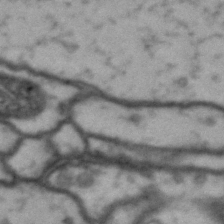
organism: Drosophila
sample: Brain